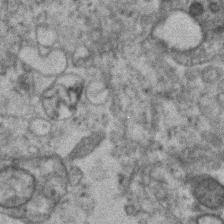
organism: Human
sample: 1205lu cells